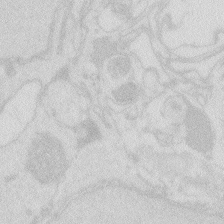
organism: Zebrafish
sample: Macrophage